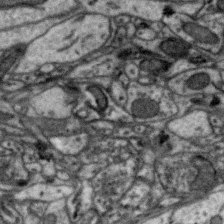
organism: Zebra finch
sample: Brain